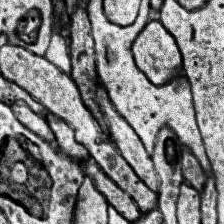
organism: Human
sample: Temporal Lobe